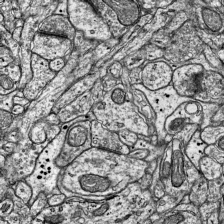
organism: Mouse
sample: Visual Cortex